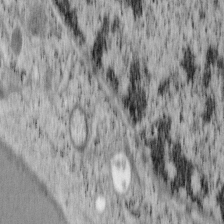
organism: Human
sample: HeLa cells